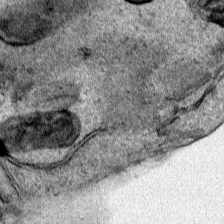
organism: Human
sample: Mitochondria in HCT116 cells